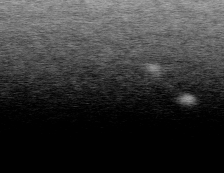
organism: Human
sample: HeLa cells